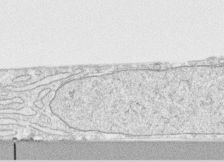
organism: Human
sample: CRL-1474